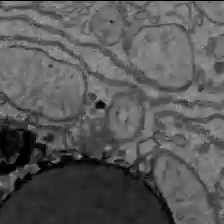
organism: C57BL Mouse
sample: Liver